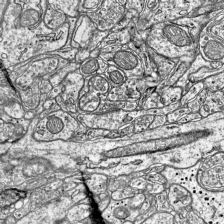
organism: Mouse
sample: Visual Cortex